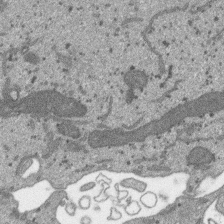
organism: Human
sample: Lung epithelial cells infected with SARS-CoV-2